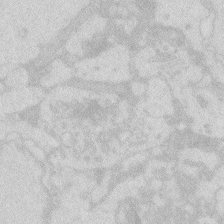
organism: Zebrafish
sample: Macrophage